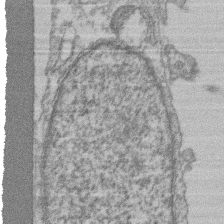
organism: Mouse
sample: T cell stromal cell synapse